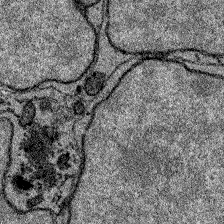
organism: Zebrafish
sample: Larval olfactory bulb